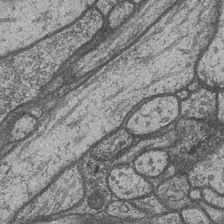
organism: Drosophila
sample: Optic medulla